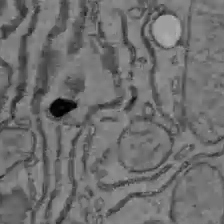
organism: C57BL Mouse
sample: Liver